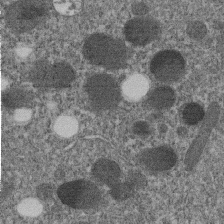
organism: C. elegans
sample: C. elegans embryo early stage